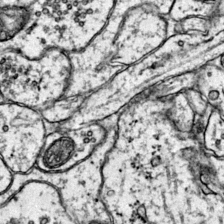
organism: Mouse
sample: Primary visual cortex